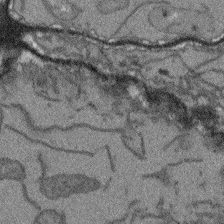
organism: Arabidopsis thaliana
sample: Root tip